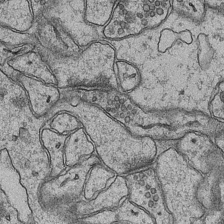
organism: Mouse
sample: CA1 Hippocampus